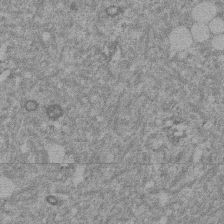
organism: Mouse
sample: Dividing mouse embryo 1 cell stage